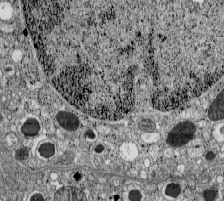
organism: C57BL Mouse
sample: Pancreatic islet